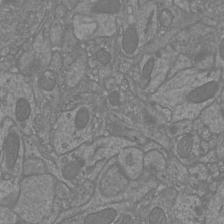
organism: Mouse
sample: Cortical neurons